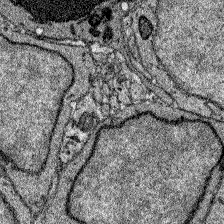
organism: Zebrafish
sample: Larval olfactory bulb